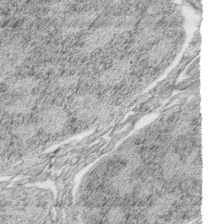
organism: Zebrafish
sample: synaptic ribbons in rod cells and cone cells